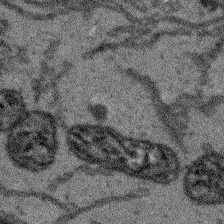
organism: Arabidopsis thaliana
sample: Root tip